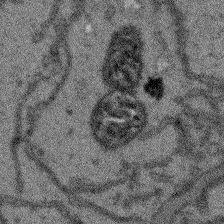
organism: Arabidopsis thaliana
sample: Root tip